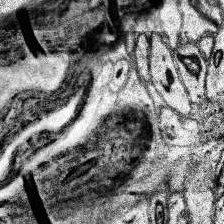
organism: Human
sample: Temporal Lobe